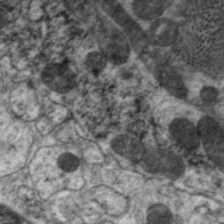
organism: C. elegans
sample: Pharynx